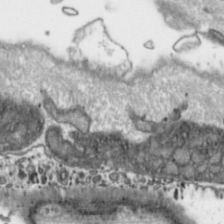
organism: Toxoplasma gondii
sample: Parasites in a vacuole inside a host cell